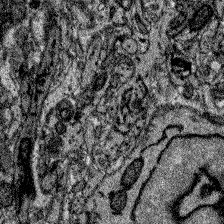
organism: Zebrafish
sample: Larval olfactory bulb